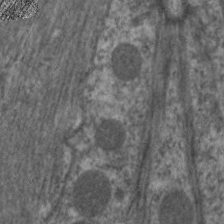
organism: C. elegans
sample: Pharynx